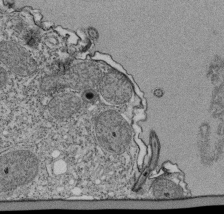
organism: Tetrahymena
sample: Cilia in tetrahymena